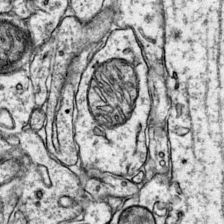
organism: Mouse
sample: Primary visual cortex